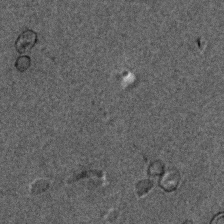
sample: Trachea